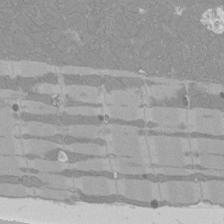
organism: Rat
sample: Left ventricle